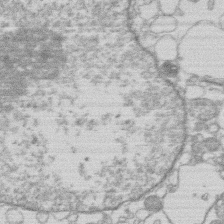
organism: Human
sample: Macrophage cells